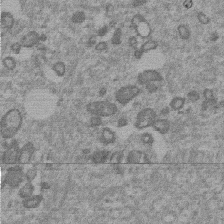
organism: Mouse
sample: Dividing mouse embryo 1 cell stage